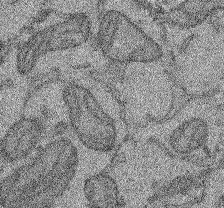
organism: Human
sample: HeLa cells